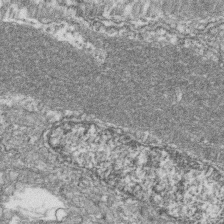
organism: Zebrafish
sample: Cilia; retinal pigment epithelium